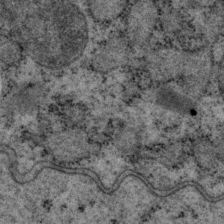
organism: P. pacificus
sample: Pharynx